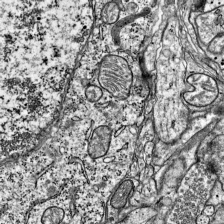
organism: Mouse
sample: Visual Cortex